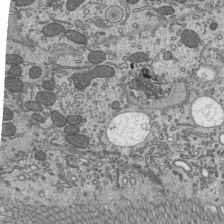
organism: Mouse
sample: Mouse epididymis efferent ductule cilia